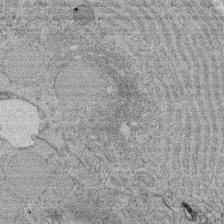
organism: Rat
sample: Salivary granule